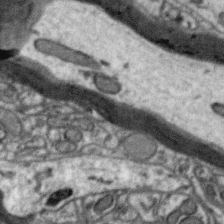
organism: Zebra finch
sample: Brain